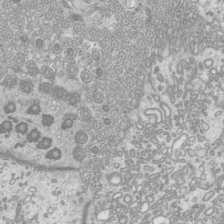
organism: Mouse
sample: Cilia; mouse epididymis